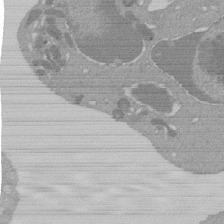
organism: Mouse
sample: Activated Pmel transgenic CD8+ T Cells